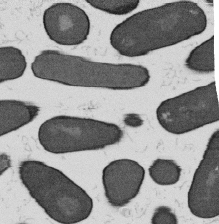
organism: B. subtilis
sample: Bacterial spore